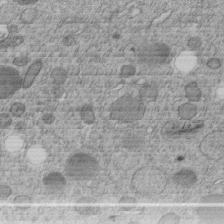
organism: C. elegans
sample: C. elegans embryo early stage